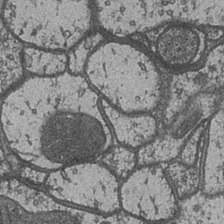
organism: Drosophila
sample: Optic medulla